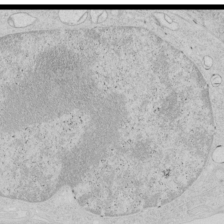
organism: Human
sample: Mitochondria in HCT116 cells